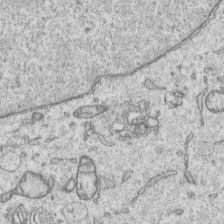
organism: Human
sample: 1205lu cells